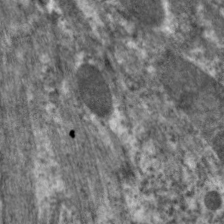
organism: C. elegans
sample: Pharynx